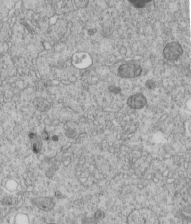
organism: C. elegans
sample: C. elegans embryo early stage